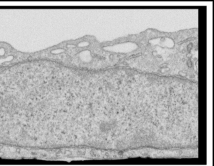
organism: Human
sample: Centriole in RPE cells